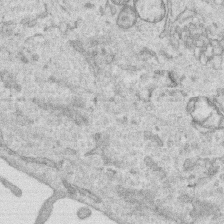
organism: Human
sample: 1205lu cells